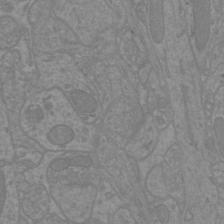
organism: Mouse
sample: Cortical neurons